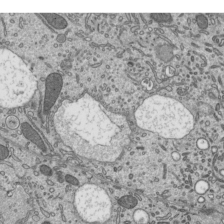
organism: Mouse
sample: Mouse epididymis efferent ductule cilia